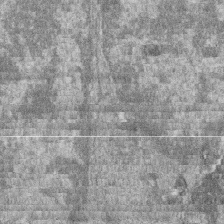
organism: Zebrafish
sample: Cilia; retinal pigment epithelium